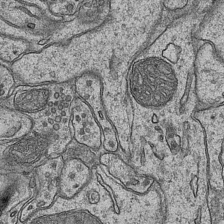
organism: Mouse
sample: CA1 Hippocampus